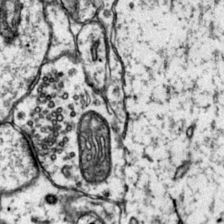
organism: Mouse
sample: Primary visual cortex